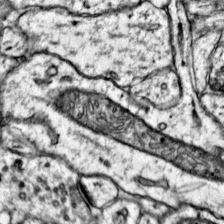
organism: Mouse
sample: Primary visual cortex